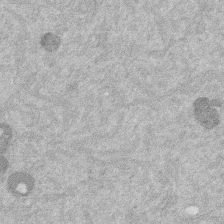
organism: Mouse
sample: Dividing mouse embryo 1 cell stage